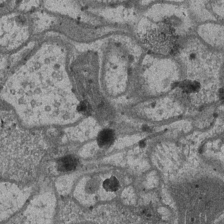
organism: Drosophila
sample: Optic medulla